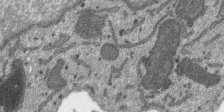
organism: Human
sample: Lung epithelial cells infected with SARS-CoV-2